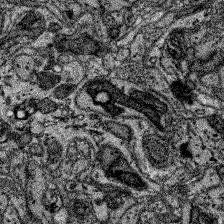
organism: Zebrafish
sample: Larval olfactory bulb